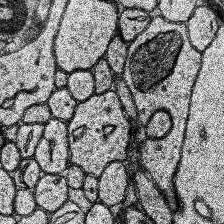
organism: Human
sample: Temporal Lobe